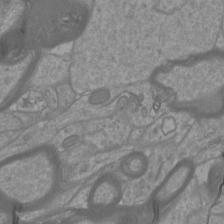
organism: Mouse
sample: Cortical neurons